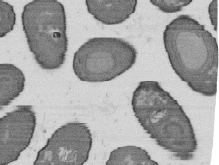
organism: B. subtilis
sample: Bacterial spore